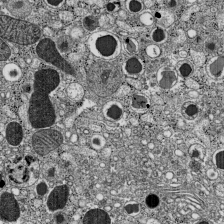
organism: C57BL Mouse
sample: Pancreatic islet